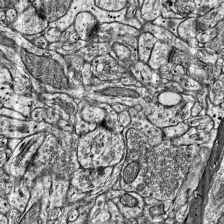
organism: Mouse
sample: Visual Cortex